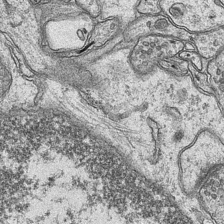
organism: Mouse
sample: CA1 Hippocampus